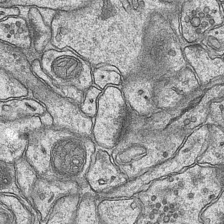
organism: Mouse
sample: CA1 Hippocampus